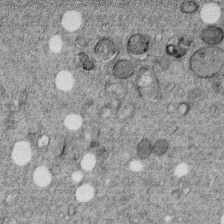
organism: C. elegans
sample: C. elegans embryo early stage